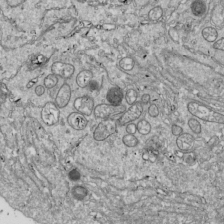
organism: Drosophila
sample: Cell division; meiosis; drosophila spermatocytes